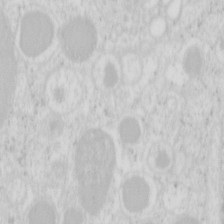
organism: Mouse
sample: Pancreas